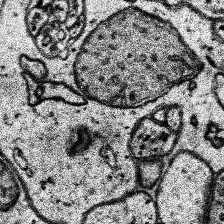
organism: Human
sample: Temporal Lobe